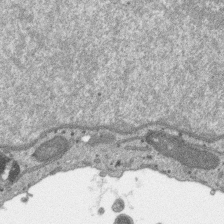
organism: Human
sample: Lung epithelial cells infected with SARS-CoV-2